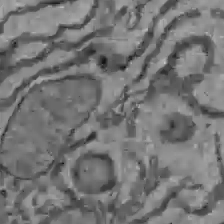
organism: C57BL Mouse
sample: Liver